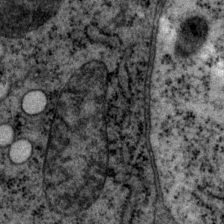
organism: P. pacificus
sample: Pharynx